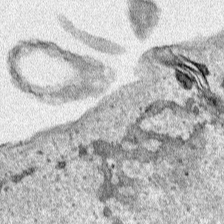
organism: Human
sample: Mitochondria in HCT116 cells